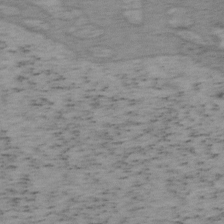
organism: Mouse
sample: OT-I killer T cells with ID8 ovarian cancer cells